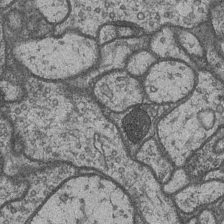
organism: Drosophila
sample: Optic medulla